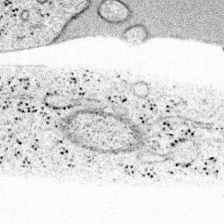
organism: Human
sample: HeLa cells